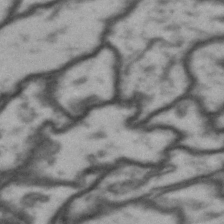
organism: Drosophila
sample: Brain